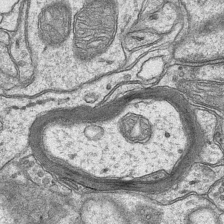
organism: Mouse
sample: CA1 Hippocampus